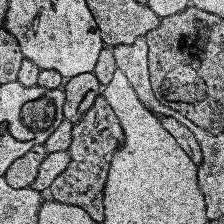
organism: Human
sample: Temporal Lobe